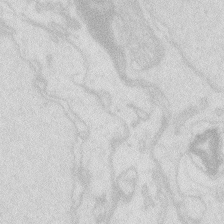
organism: Zebrafish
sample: Macrophage